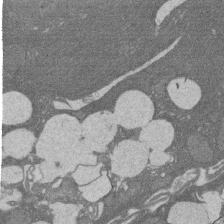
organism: Rat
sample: Salivary granule